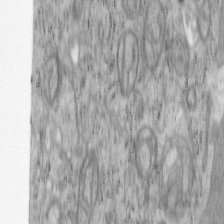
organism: Human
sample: HeLa cells